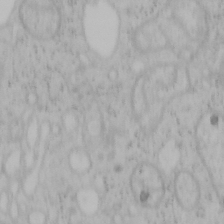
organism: Mouse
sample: OT-I killer T cells with ID8 ovarian cancer cells